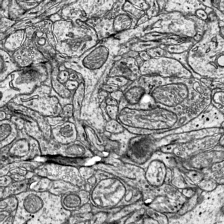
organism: Mouse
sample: Visual Cortex